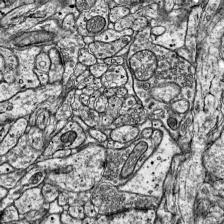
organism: Mouse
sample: Visual Cortex